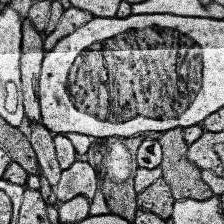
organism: Human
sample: Temporal Lobe